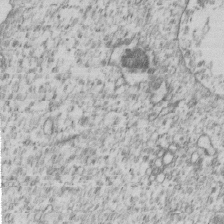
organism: Human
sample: MDA-MB-231 cells